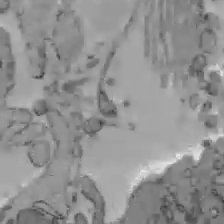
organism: C57BL Mouse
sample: Liver